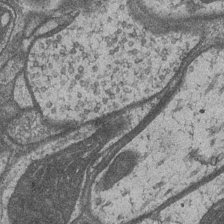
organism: Drosophila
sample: Optic medulla